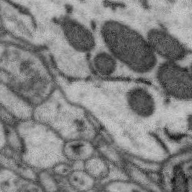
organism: Zebra finch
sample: Brain